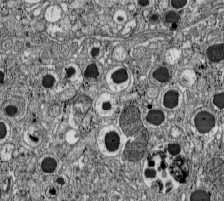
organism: C57BL Mouse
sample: Pancreatic islet